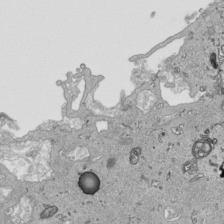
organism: Human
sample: Mitochondria in HCT116 cells